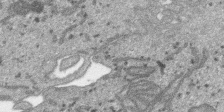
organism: Human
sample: Lung epithelial cells infected with SARS-CoV-2